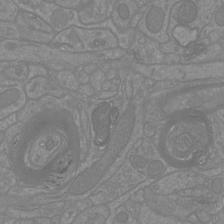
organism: Mouse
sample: Cortical neurons